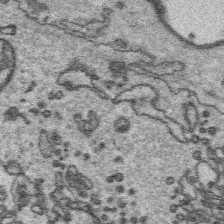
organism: Platynereis dumerilii